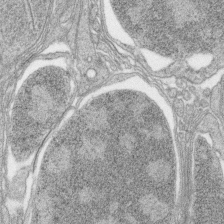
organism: Zebrafish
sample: synaptic ribbons in rod cells and cone cells